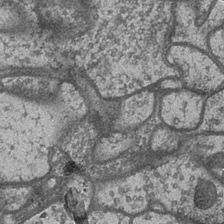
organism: Drosophila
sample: Optic medulla